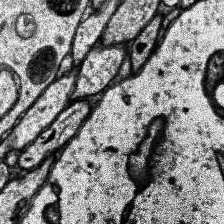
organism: Human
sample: Temporal Lobe